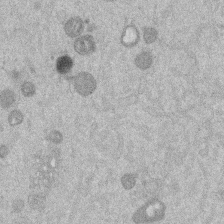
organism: Mouse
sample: Dividing mouse embryo 1 cell stage